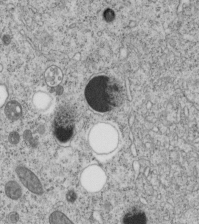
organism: C. elegans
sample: C. elegans embryo early stage